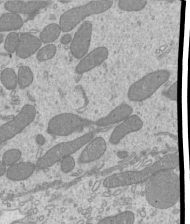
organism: Mouse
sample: Cilia; mouse epididymis